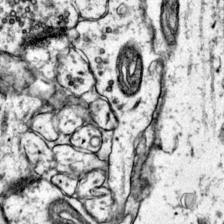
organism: Mouse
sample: Primary visual cortex